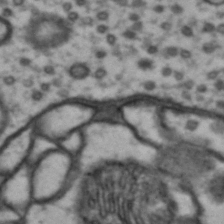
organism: Drosophila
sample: Brain